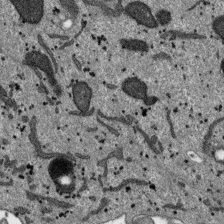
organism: Human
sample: Lung epithelial cells, uninfected (mock) control